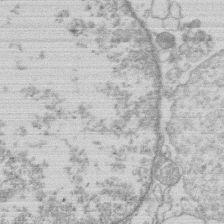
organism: Human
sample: Macrophage cells